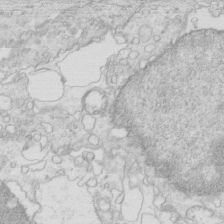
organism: Mouse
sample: Multiciliated cells